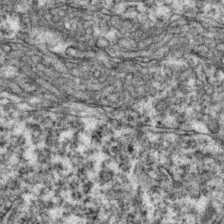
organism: Zebrafish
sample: Zebrafish embryo